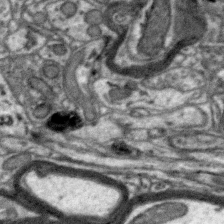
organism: Zebra finch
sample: Brain